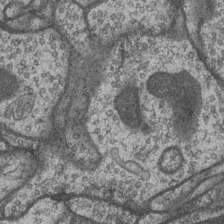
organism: Drosophila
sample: Optic medulla